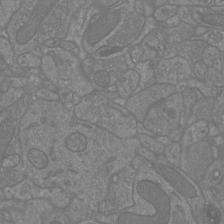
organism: Mouse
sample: Cortical neurons